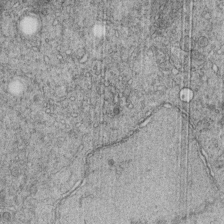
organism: C. elegans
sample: C. elegans embryo early stage